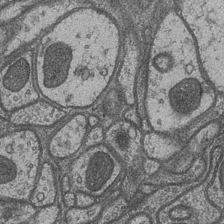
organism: Drosophila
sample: Optic medulla